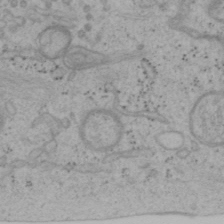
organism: Human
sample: HeLa cells